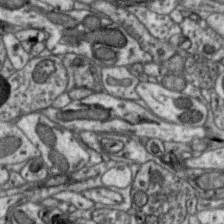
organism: Zebra finch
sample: Brain